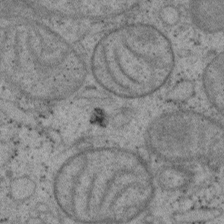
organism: Human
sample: HeLa cells